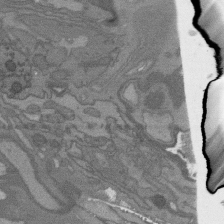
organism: C. elegans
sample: AFD neurons C. elegans